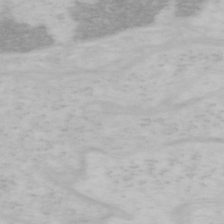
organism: Mouse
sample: OT-I killer T cells with ID8 ovarian cancer cells